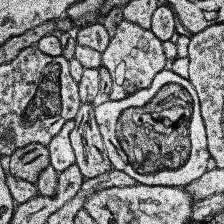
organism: Human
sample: Temporal Lobe